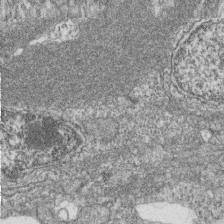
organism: Zebrafish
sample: Cilia; retinal pigment epithelium